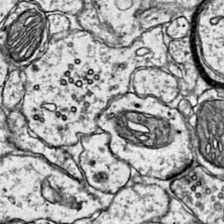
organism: Mouse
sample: Primary visual cortex